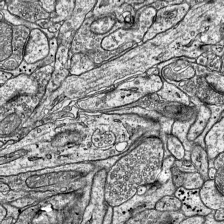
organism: Mouse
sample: Visual Cortex